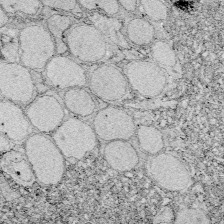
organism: Zebrafish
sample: Whole-Brain